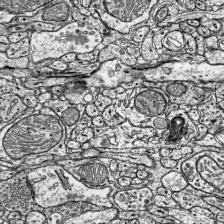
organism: Mouse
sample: Visual Cortex